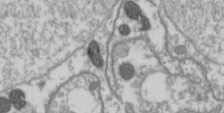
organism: Drosophila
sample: Cell division; meiosis; drosophila spermatocytes